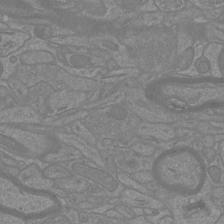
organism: Mouse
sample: Cortical neurons